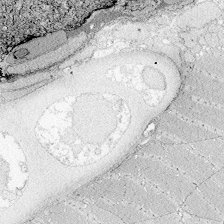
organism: Zebrafish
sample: Whole-Brain